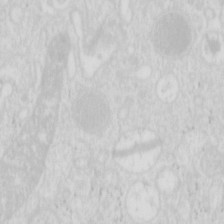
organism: Mouse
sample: Pancreas